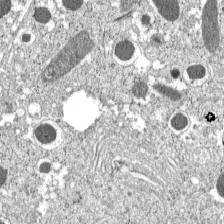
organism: C57BL Mouse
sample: Pancreatic islet